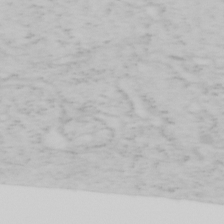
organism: Mouse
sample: OT-I killer T cells with ID8 ovarian cancer cells